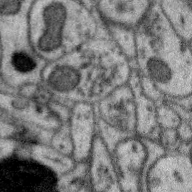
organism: Zebra finch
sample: Brain